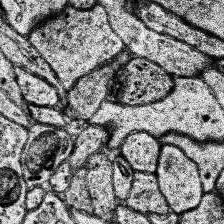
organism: Human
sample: Temporal Lobe